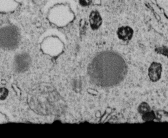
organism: C. elegans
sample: C. elegans embryo early stage